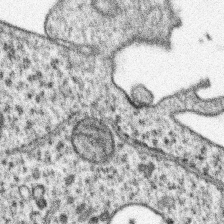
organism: Human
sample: HeLa cells